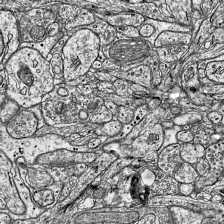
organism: Mouse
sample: Visual Cortex